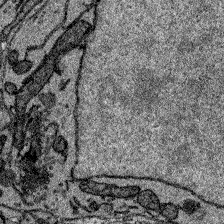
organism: Zebrafish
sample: Larval olfactory bulb